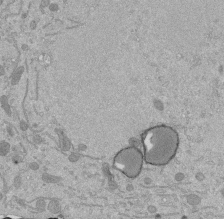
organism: Mouse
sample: ED-1 cell nuclei; centrioles